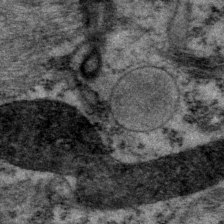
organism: P. pacificus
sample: Pharynx